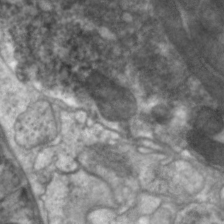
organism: C. elegans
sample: Pharynx